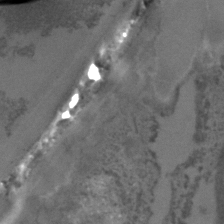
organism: C. elegans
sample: C. elegans embryo